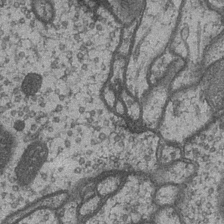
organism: Drosophila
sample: Optic medulla